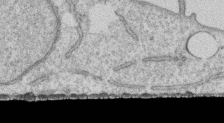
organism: Human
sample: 1205lu cells